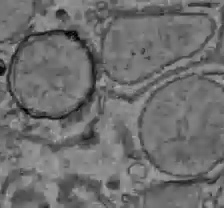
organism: C57BL Mouse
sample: Liver